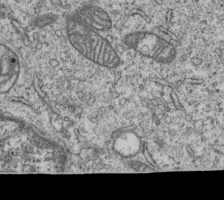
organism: Human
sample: MDA-MB-231 cells